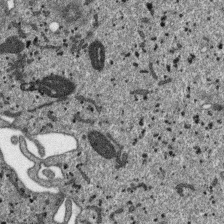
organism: Human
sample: Lung epithelial cells infected with SARS-CoV-2